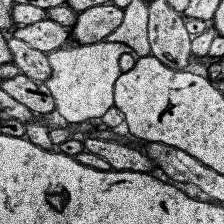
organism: Human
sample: Temporal Lobe